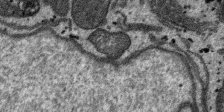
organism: Human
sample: Lung epithelial cells, uninfected (mock) control